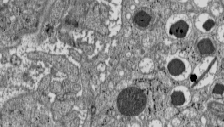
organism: C57BL Mouse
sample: Pancreatic islet